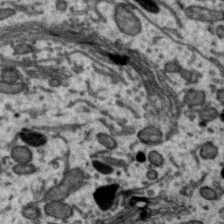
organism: Zebra finch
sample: Brain